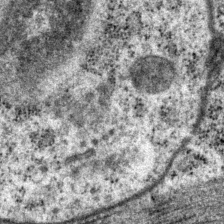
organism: P. pacificus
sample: Pharynx